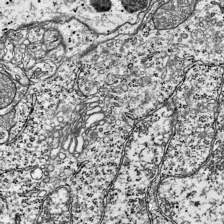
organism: Mouse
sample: Visual Cortex